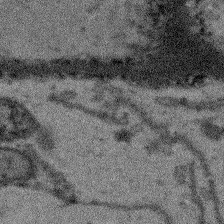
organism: Arabidopsis thaliana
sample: Root tip